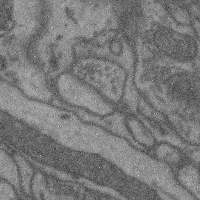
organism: Mouse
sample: Cerebral cortex